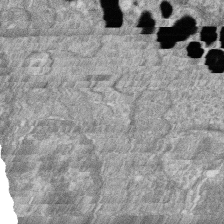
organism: Zebrafish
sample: Cilia; retinal pigment epithelium